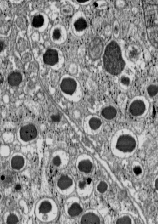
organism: C57BL Mouse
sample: Pancreatic islet